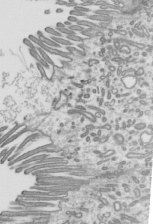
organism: Mouse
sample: Mouse epididymis efferent ductule cilia